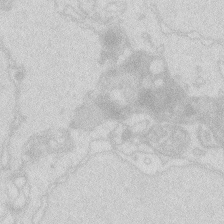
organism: Zebrafish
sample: Macrophage